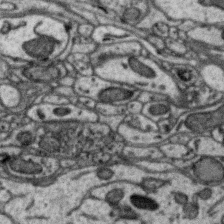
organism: Zebra finch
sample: Brain